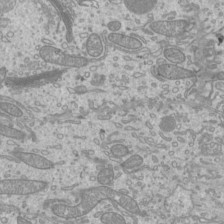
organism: Mouse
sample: Cilia; mouse epididymis